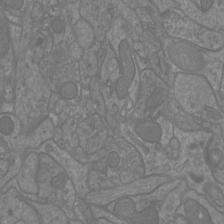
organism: Mouse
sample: Cortical neurons